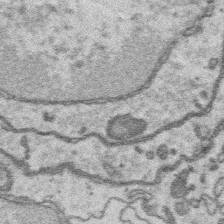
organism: Platynereis dumerilii